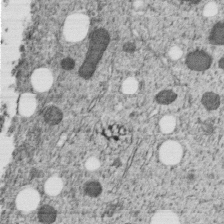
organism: C. elegans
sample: C. elegans embryo early stage